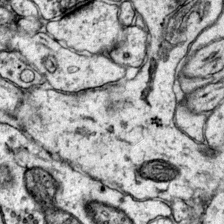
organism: Mouse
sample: Primary visual cortex